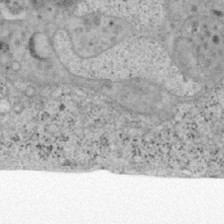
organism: Mouse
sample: OT-I killer T cells with ID8 ovarian cancer cells